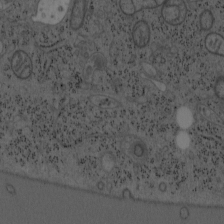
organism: Mouse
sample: OT-I killer T cells with ID8 ovarian cancer cells